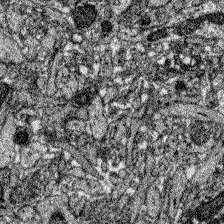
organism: Zebrafish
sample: Larval olfactory bulb